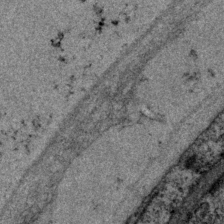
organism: P. pacificus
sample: Pharynx